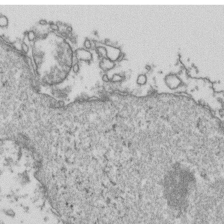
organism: Human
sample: Activated Jurkat CD4+ T cells